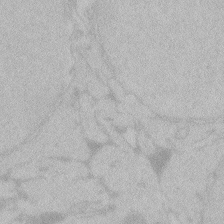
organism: Zebrafish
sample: Macrophage infected with Toxoplasma gondii